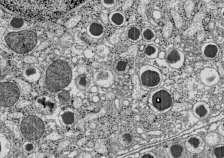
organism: C57BL Mouse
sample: Pancreatic islet